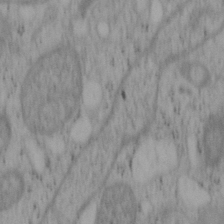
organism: Mouse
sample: OT-I killer T cells with ID8 ovarian cancer cells